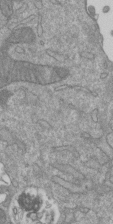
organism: Mouse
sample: ED-1 cell nuclei; centrioles